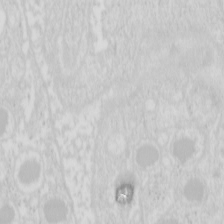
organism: Mouse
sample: Pancreas